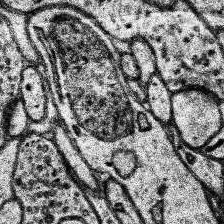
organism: Human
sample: Temporal Lobe